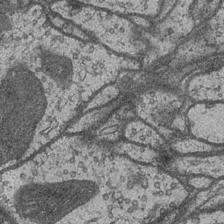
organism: Drosophila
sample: Optic medulla